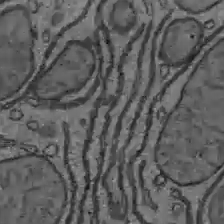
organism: C57BL Mouse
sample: Liver